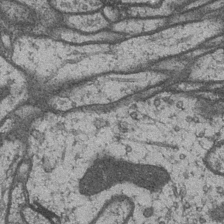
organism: Drosophila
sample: Optic medulla